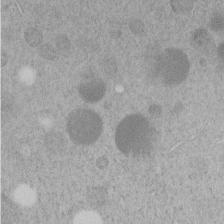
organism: C. elegans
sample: C. elegans embryo early stage